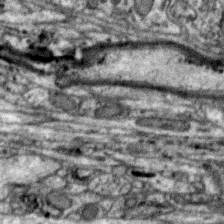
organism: Zebra finch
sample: Brain